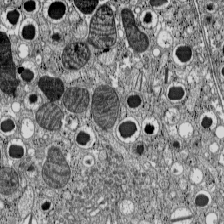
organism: C57BL Mouse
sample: Pancreatic islet